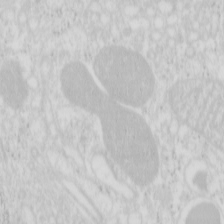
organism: Mouse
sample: Pancreas